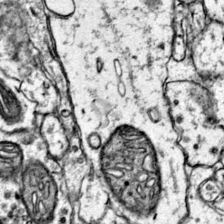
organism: Mouse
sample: Primary visual cortex